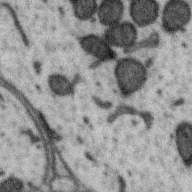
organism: Zebra finch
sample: Brain